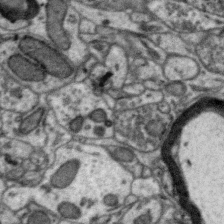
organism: Zebra finch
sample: Brain